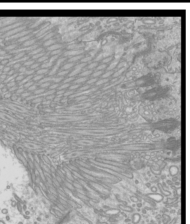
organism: Mouse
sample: Cilia; mouse epididymis